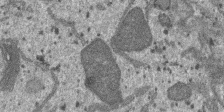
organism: Human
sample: Lung epithelial cells infected with SARS-CoV-2